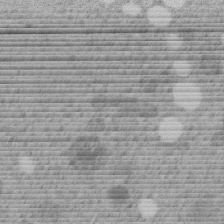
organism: C. elegans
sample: C. elegans embryo early stage